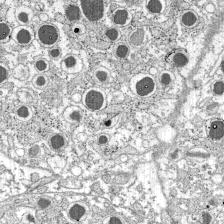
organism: C57BL Mouse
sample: Pancreatic islet